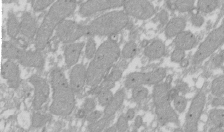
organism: Xenopus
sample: Cilia; centrioles in frog embryo cells